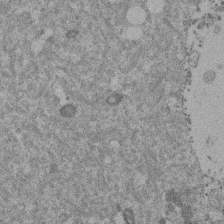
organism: Mouse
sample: Dividing mouse embryo 1 cell stage